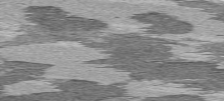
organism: C57BL Mouse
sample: Heart